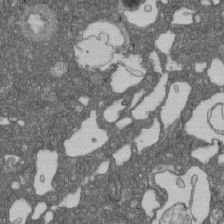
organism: Drosophila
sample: Nephrocyte